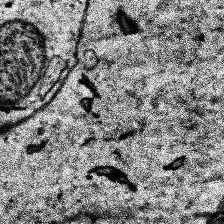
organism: Human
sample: Temporal Lobe